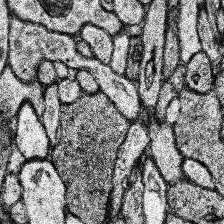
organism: Human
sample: Temporal Lobe